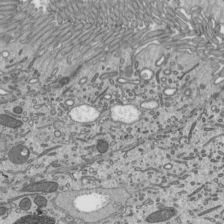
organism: Mouse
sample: Mouse epididymis efferent ductule cilia